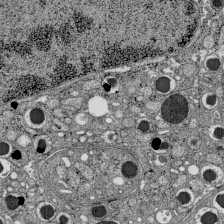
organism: C57BL Mouse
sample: Pancreatic islet